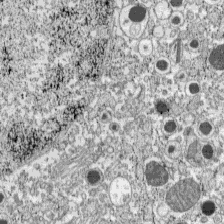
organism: C57BL Mouse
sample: Pancreatic islet